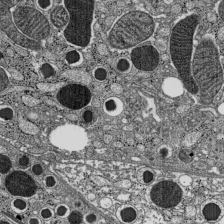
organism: C57BL Mouse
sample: Pancreatic islet